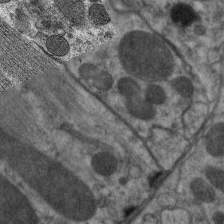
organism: C. elegans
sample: Pharynx